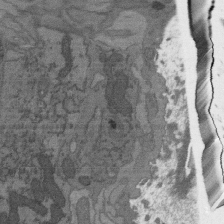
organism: C. elegans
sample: AFD neurons C. elegans